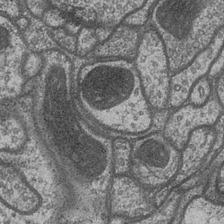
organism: Drosophila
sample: Optic medulla